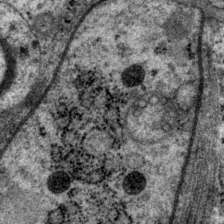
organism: P. pacificus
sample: Pharynx